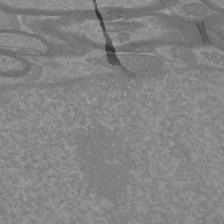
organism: Mouse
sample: Cortical neurons